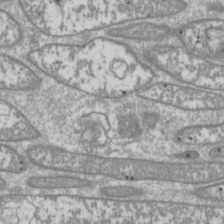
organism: Drosophila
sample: Cell division; meiosis; drosophila spermatocytes